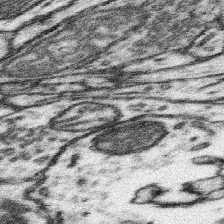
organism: Mouse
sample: Somatosensory cortex neuropil